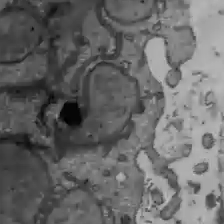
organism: C57BL Mouse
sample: Liver